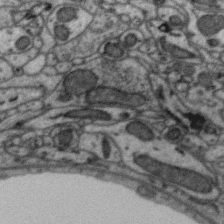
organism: Zebra finch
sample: Brain